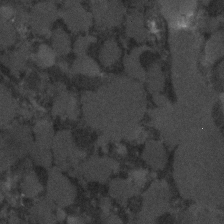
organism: C. elegans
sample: C. elegans embryo